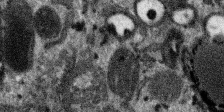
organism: Human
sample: Lung epithelial cells infected with SARS-CoV-2